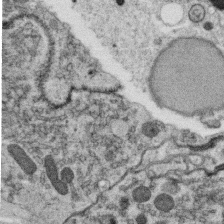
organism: C. elegans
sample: C. elegans oocyte; sperm cells